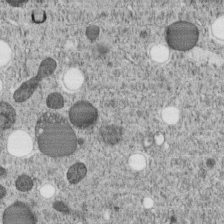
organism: C. elegans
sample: C. elegans embryo early stage